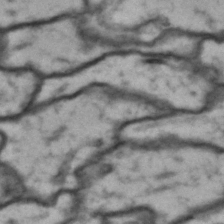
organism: Drosophila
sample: Brain